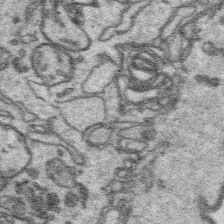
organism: Platynereis dumerilii